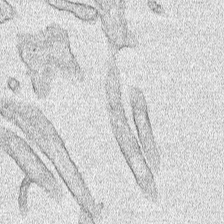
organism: Human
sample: Mitochondria in HCT116 cells